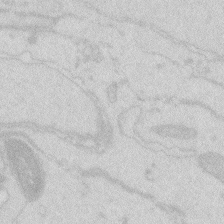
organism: Zebrafish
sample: Macrophage